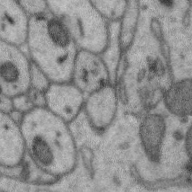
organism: Zebra finch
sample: Brain